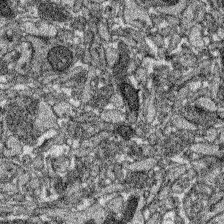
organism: Zebrafish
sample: Larval olfactory bulb